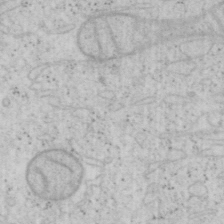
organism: Human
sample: HeLa cells